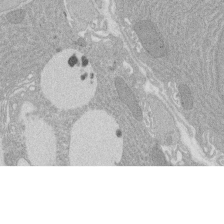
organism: Rat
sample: Salivary granule